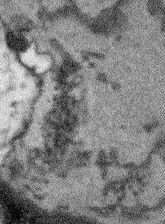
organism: Arabidopsis thaliana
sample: Root tip